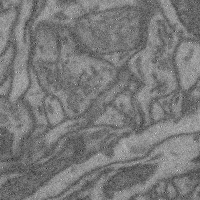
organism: Mouse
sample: Cerebral cortex